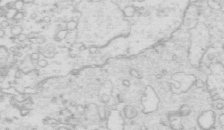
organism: Mouse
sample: Multiciliated cells